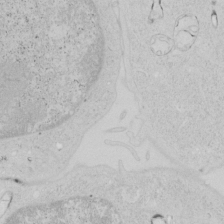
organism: Human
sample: Mitochondria in HCT116 cells